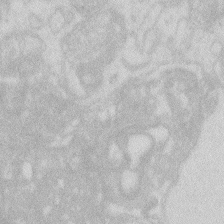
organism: Zebrafish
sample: Macrophage